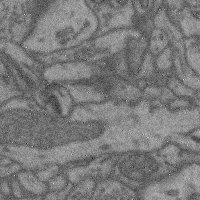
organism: Mouse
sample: Cerebral cortex